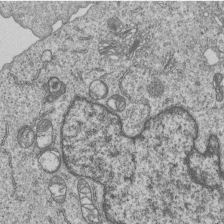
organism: Human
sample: MDA-MB-231 cells